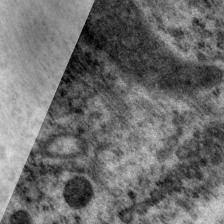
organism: P. pacificus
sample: Pharynx